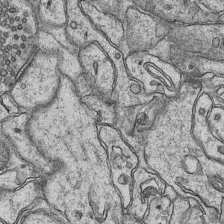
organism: Mouse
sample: CA1 Hippocampus